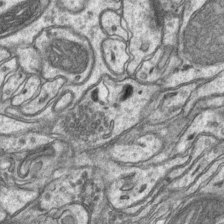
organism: Mouse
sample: CA1 Hippocampus